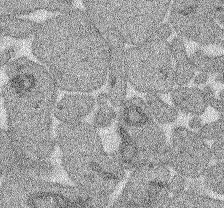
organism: Human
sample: HeLa cells